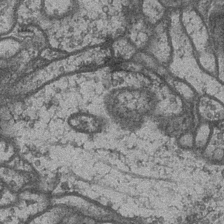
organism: Drosophila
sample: Optic medulla